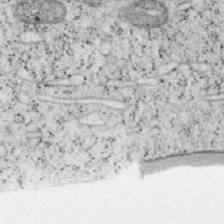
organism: Mouse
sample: OT-I killer T cells with ID8 ovarian cancer cells